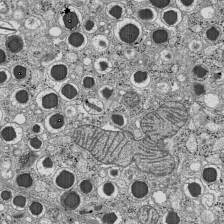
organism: C57BL Mouse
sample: Pancreatic islet